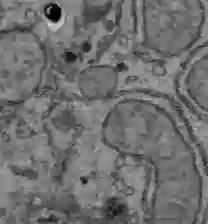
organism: C57BL Mouse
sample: Liver